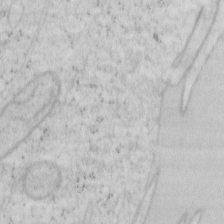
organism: Human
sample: HeLa cells